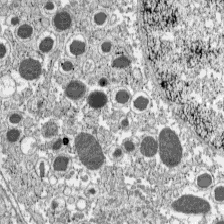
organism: C57BL Mouse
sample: Pancreatic islet